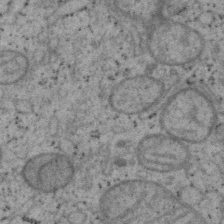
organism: Human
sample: HeLa cells